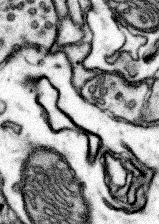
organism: Mouse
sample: Somatosensory cortex neuropil